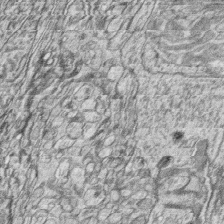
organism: Zebrafish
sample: synaptic ribbons in rod cells and cone cells